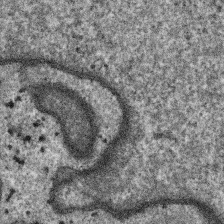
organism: Human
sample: Lung epithelial cells infected with SARS-CoV-2